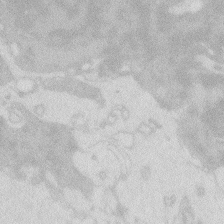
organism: Zebrafish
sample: Macrophage